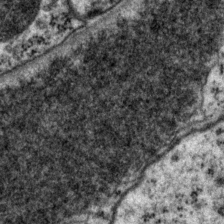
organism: P. pacificus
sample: Pharynx